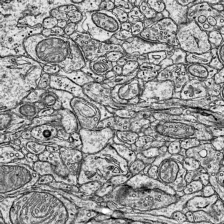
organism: Mouse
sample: Visual Cortex